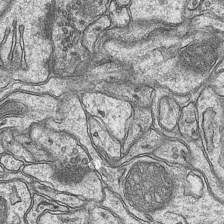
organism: Mouse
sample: CA1 Hippocampus